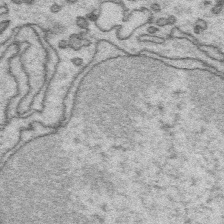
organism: Platynereis dumerilii